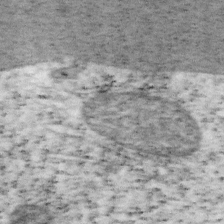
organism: Mouse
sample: OT-I killer T cells with ID8 ovarian cancer cells